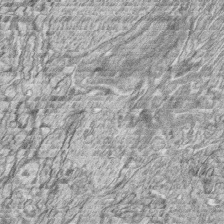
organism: Zebrafish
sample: synaptic ribbons in rod cells and cone cells